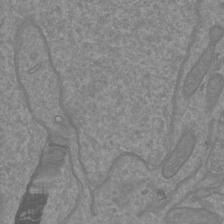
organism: Mouse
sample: Cortical neurons